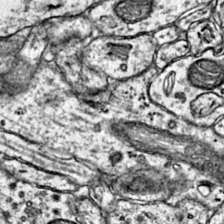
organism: Mouse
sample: Primary visual cortex